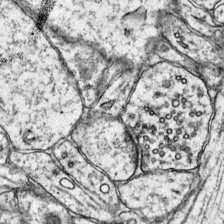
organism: Mouse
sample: Primary visual cortex